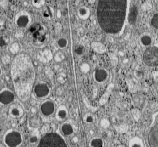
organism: C57BL Mouse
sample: Pancreatic islet